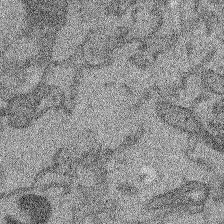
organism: Human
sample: HeLa cells